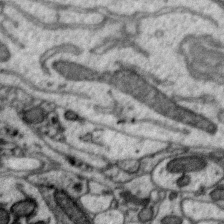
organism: Zebra finch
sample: Brain